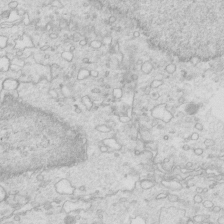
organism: Mouse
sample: Multiciliated cells